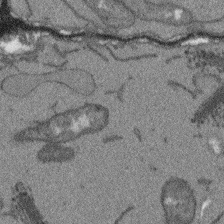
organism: Arabidopsis thaliana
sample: Root tip